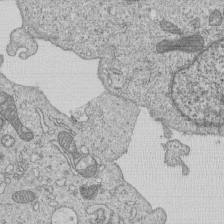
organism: Human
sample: MDA-MB-231 cells